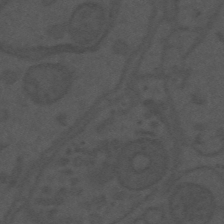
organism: Mouse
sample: Suprachiasmatic nucleus